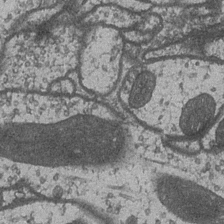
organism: Drosophila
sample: Optic medulla